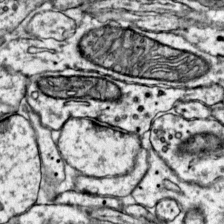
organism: Mouse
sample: Primary visual cortex